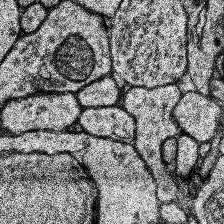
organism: Human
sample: Temporal Lobe